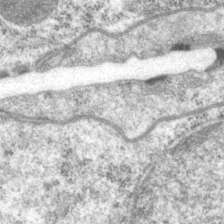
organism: P. pacificus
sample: Pharynx